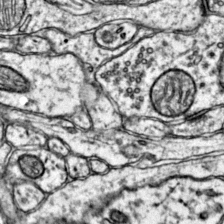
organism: Mouse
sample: Primary visual cortex